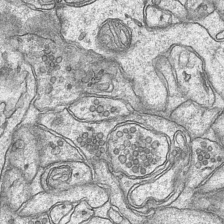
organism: Mouse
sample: CA1 Hippocampus